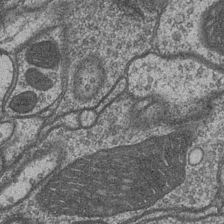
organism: Drosophila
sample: Optic medulla